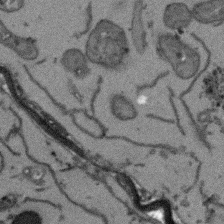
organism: Arabidopsis thaliana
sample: Root tip